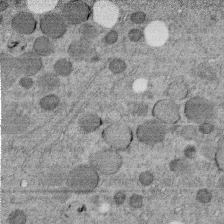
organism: C. elegans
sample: C. elegans embryo early stage